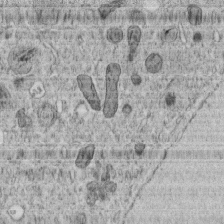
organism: C. elegans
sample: C. elegans embryo early stage